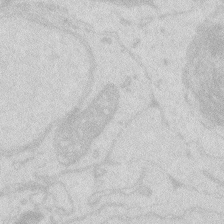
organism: Zebrafish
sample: Macrophage